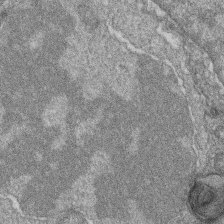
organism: Zebrafish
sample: Cilia; retinal pigment epithelium